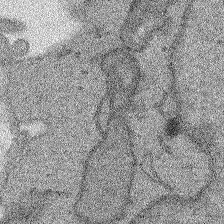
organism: Human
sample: HeLa cells